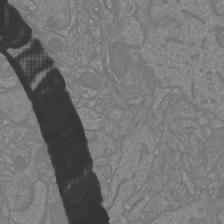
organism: Mouse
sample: Cortical neurons